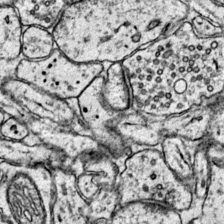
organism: Mouse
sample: Primary visual cortex